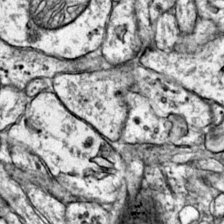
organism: Mouse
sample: Primary visual cortex